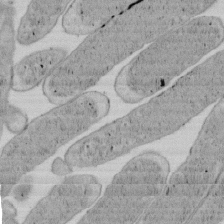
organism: E. coli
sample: Bacterial nucleoid